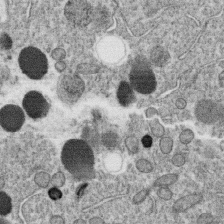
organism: C. elegans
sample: C. elegans oocyte; sperm cells